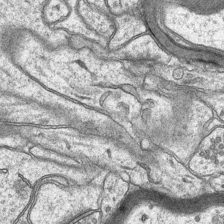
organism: Mouse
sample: CA1 Hippocampus